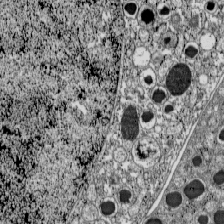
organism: C57BL Mouse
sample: Pancreatic islet